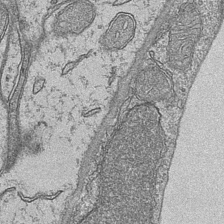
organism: Mouse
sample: CA1 Hippocampus